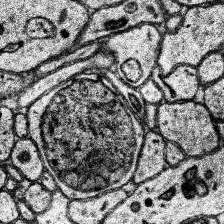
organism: Human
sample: Temporal Lobe